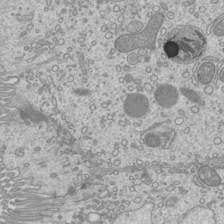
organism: Mouse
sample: Cilia; mouse epididymis